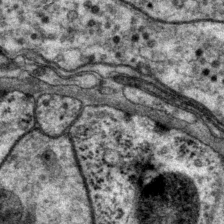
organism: P. pacificus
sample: Pharynx